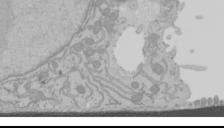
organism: Mouse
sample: Cancer cell death in ED-1 cells